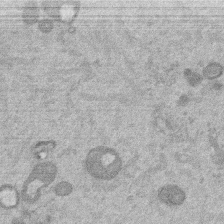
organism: Mouse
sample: Dividing mouse embryo 1 cell stage